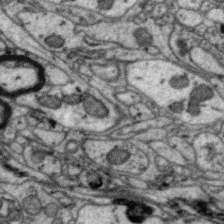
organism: Zebra finch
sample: Brain